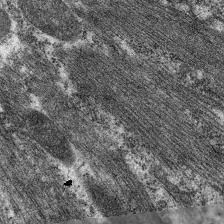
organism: C. elegans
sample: Pharynx